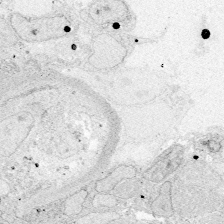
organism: Zebrafish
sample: Whole-Brain